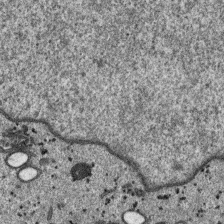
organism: Human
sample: Lung epithelial cells infected with SARS-CoV-2